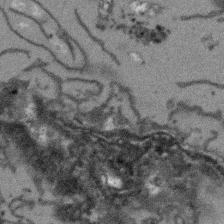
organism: Arabidopsis thaliana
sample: Root tip